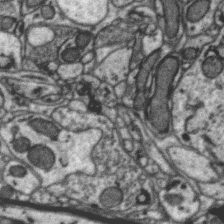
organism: Zebra finch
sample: Brain